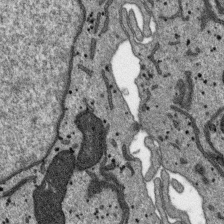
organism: Human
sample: Lung epithelial cells, uninfected (mock) control